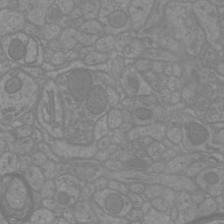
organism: Mouse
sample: Cortical neurons